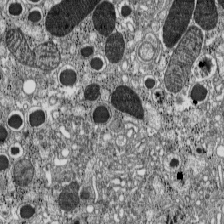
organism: C57BL Mouse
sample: Pancreatic islet